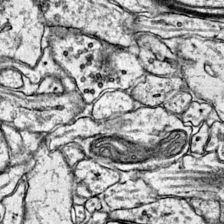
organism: Mouse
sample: Primary visual cortex